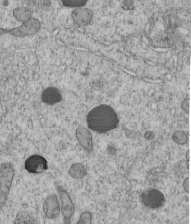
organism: C. elegans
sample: C. elegans embryo early stage